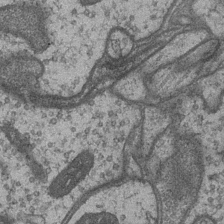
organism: Drosophila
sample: Optic medulla